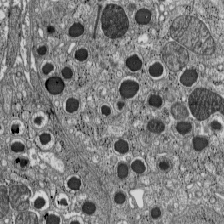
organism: C57BL Mouse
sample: Pancreatic islet